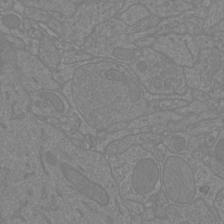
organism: Mouse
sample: Cortical neurons